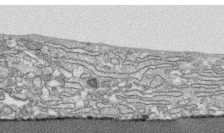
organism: Human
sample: CRL-1474